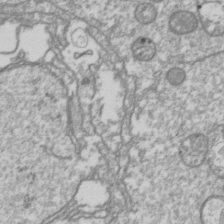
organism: Drosophila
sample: Cell division; meiosis; drosophila spermatocytes